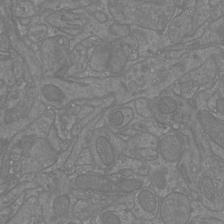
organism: Mouse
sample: Cortical neurons